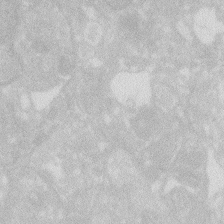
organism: Zebrafish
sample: Macrophage